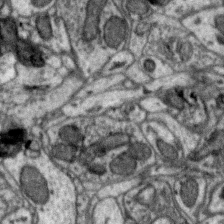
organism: Zebra finch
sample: Brain